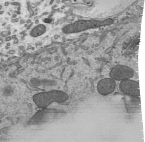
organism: Mouse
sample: Mouse epididymis efferent ductule cilia